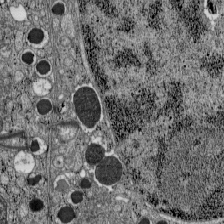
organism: C57BL Mouse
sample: Pancreatic islet